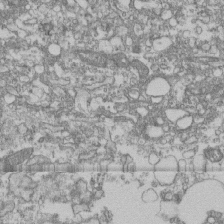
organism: Human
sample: Fibroblast cells